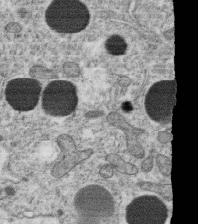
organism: C. elegans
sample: C. elegans oocyte; sperm cells